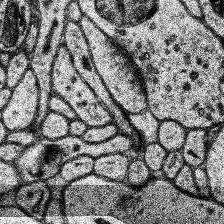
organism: Human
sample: Temporal Lobe